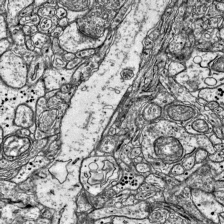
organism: Mouse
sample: Visual Cortex